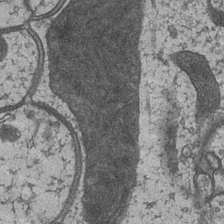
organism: Drosophila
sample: Optic medulla